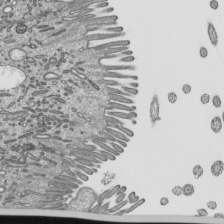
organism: Mouse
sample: Mouse epididymis efferent ductule cilia